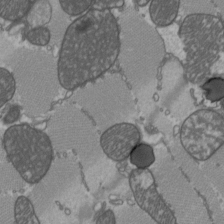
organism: C57BL Mouse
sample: Heart